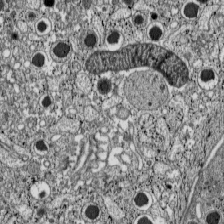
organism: C57BL Mouse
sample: Pancreatic islet